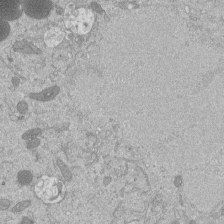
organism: Mouse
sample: ED-1 cell nuclei; centrioles